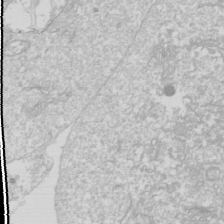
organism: Drosophila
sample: Cell division; meiosis; drosophila spermatocytes